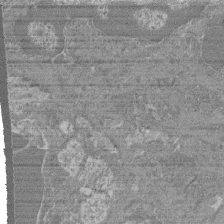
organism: Mouse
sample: Glomerulus